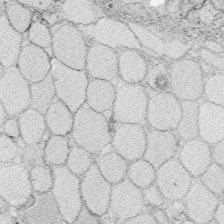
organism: Zebrafish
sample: Whole-Brain